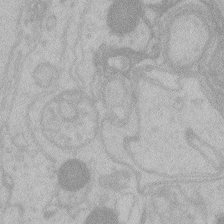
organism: Zebrafish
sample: Macrophage infected with Toxoplasma gondii